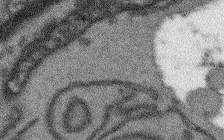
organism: Arabidopsis thaliana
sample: Root tip